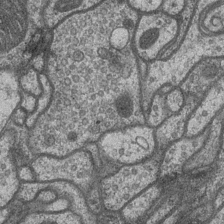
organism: Drosophila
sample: Optic medulla